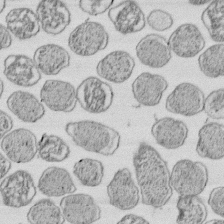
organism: E. coli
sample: Bacterial nucleoid